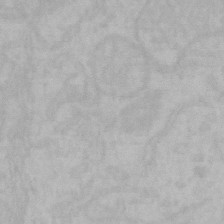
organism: Mouse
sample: Choroid plexus